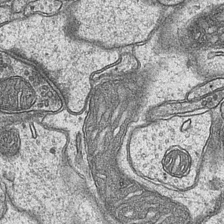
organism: Mouse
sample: CA1 Hippocampus